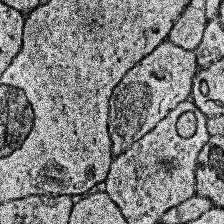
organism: Human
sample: Temporal Lobe